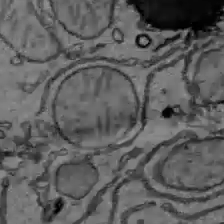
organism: C57BL Mouse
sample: Liver